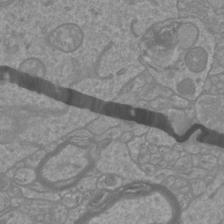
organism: Mouse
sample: Cortical neurons